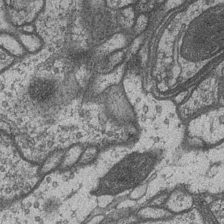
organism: Drosophila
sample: Optic medulla